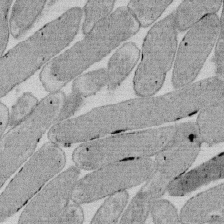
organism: E. coli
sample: Bacterial nucleoid